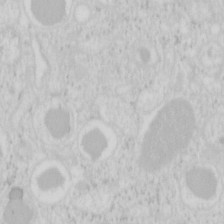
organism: Mouse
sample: Pancreas